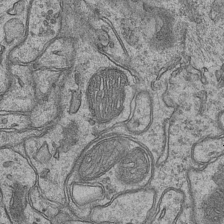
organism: Mouse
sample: CA1 Hippocampus